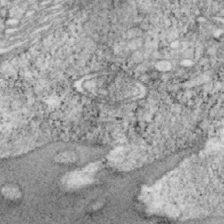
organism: Mouse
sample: OT-I killer T cells with ID8 ovarian cancer cells